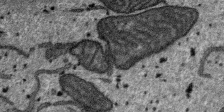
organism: Human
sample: Lung epithelial cells, uninfected (mock) control